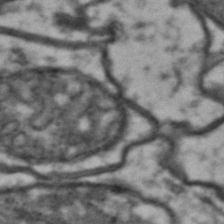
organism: Drosophila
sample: Brain